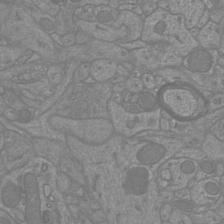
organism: Mouse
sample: Cortical neurons